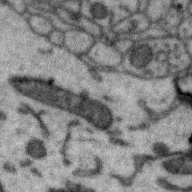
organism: Zebra finch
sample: Brain